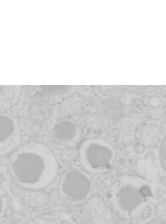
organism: Mouse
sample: Pancreas